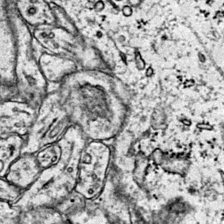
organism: Mouse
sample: Primary visual cortex